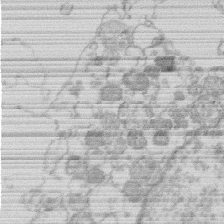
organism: Human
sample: Macrophage cells